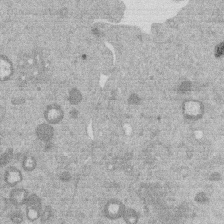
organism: Mouse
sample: Dividing mouse embryo 1 cell stage